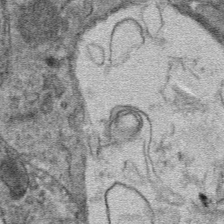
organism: Mouse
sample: Mouse hepatocytes